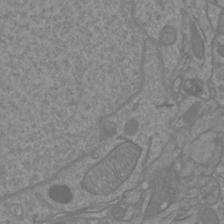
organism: Mouse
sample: Cortical neurons